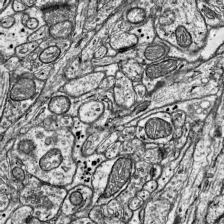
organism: Mouse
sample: Visual Cortex